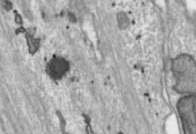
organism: Toxoplasma gondii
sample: Parasites in a vacuole inside a host cell